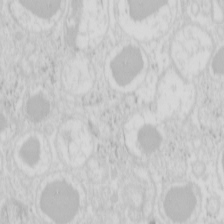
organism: Mouse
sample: Pancreas